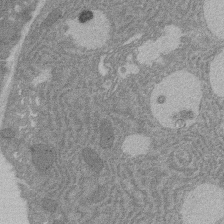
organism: Rat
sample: Salivary granule